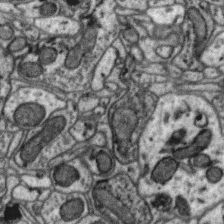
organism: Zebra finch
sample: Brain